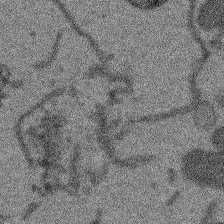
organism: Arabidopsis thaliana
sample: Root tip